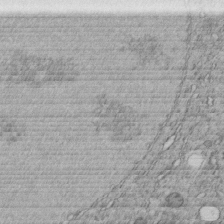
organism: C. elegans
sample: C. elegans embryo early stage